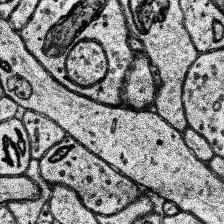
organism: Human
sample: Temporal Lobe